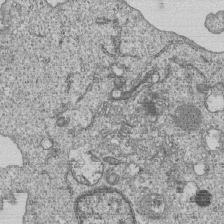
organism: Human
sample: MDA-MB-231 cells